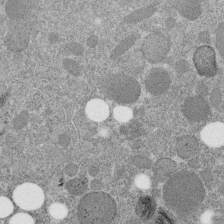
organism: C. elegans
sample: C. elegans embryo early stage